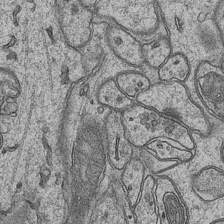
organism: Mouse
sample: CA1 Hippocampus